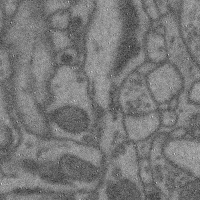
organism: Mouse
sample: Cerebral cortex